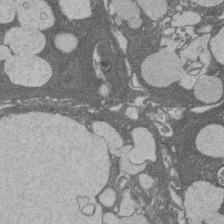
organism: Rat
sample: Salivary granule